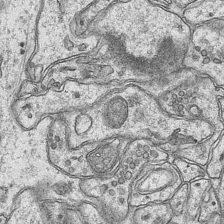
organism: Mouse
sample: CA1 Hippocampus